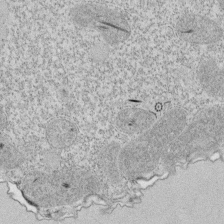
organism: Tetrahymena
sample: Cilia in tetrahymena